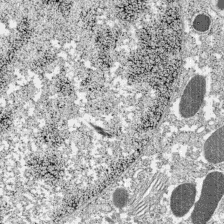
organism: C57BL Mouse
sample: Pancreatic islet